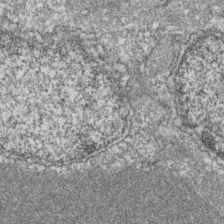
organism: Zebrafish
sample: Cilia; retinal pigment epithelium